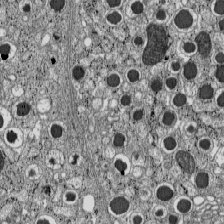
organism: C57BL Mouse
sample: Pancreatic islet